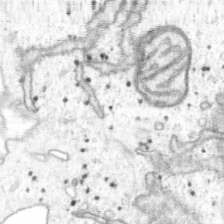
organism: Human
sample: HeLa cells